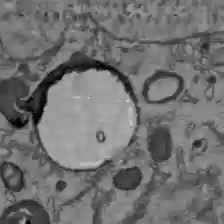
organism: C57BL Mouse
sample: Liver